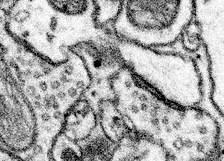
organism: Mouse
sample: Somatosensory cortex neuropil